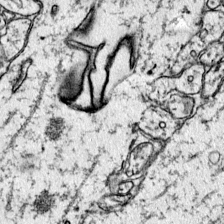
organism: Mouse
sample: Primary visual cortex